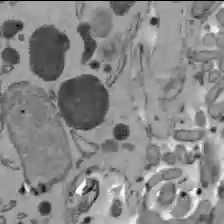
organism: C57BL Mouse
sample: Liver